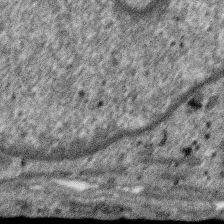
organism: Human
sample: Lung epithelial cells infected with SARS-CoV-2